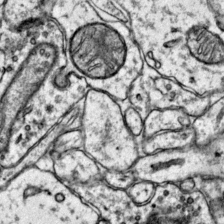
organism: Mouse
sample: Primary visual cortex